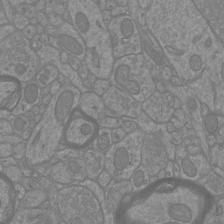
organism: Mouse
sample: Cortical neurons